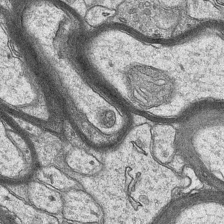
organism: Mouse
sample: CA1 Hippocampus